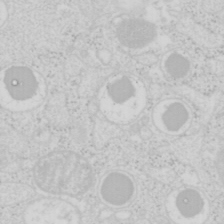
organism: Mouse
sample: Pancreas